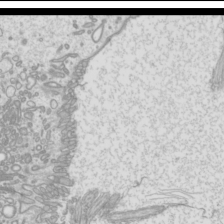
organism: Mouse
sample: Cilia; mouse epididymis